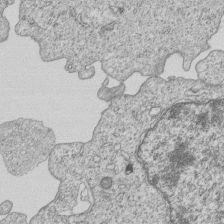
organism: Human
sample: MDA-MB-231 cells